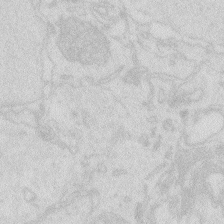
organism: Zebrafish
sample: Macrophage